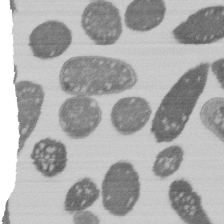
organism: E. coli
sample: Bacterial nucleoid